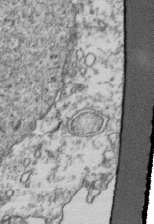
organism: Human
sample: Activated Jurkat CD4+ T cells